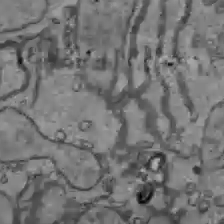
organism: C57BL Mouse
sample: Liver